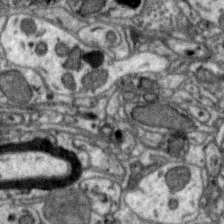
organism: Zebra finch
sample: Brain